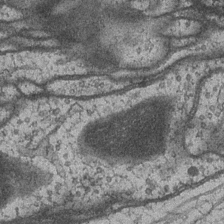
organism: Drosophila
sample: Optic medulla